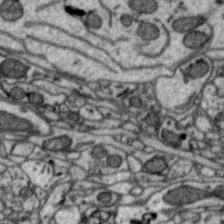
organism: Zebra finch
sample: Brain